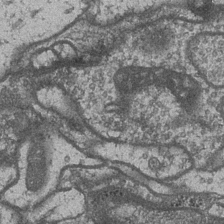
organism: Drosophila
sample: Optic medulla